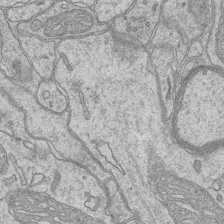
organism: Mouse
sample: CA1 Hippocampus